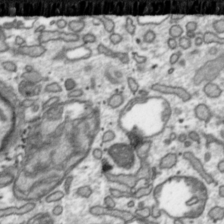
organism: Toxoplasma gondii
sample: Parasites in a vacuole inside a host cell